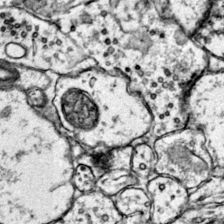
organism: Mouse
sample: Primary visual cortex